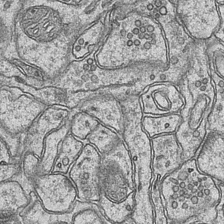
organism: Mouse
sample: CA1 Hippocampus